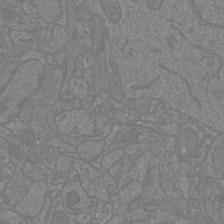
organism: Mouse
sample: Cortical neurons